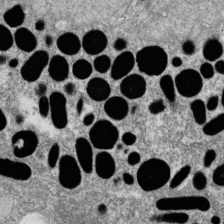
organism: Zebrafish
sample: Cilia; retinal pigment epithelium